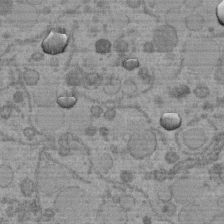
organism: C. elegans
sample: C. elegans embryo early stage